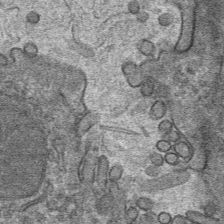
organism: Mouse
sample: Mouse hepatocytes